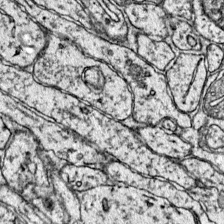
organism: Mouse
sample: Primary visual cortex